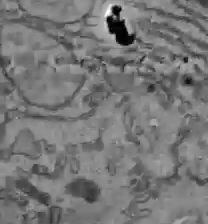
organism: C57BL Mouse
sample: Liver